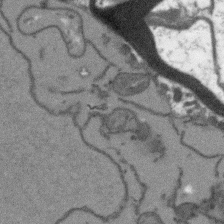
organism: Arabidopsis thaliana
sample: Root tip